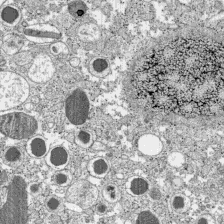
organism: C57BL Mouse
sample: Pancreatic islet